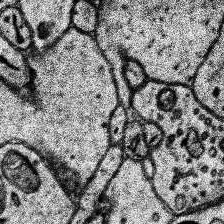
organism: Human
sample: Temporal Lobe